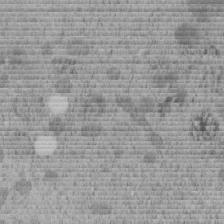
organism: C. elegans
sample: C. elegans embryo early stage